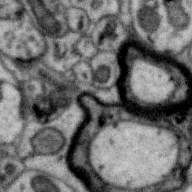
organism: Zebra finch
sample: Brain